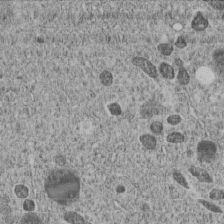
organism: C. elegans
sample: C. elegans embryo early stage